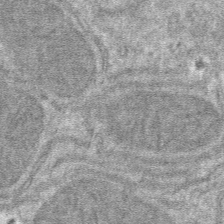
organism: Mouse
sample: Mouse hepatocytes